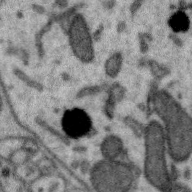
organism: Zebra finch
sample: Brain